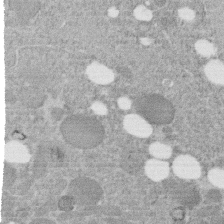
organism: C. elegans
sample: C. elegans embryo early stage